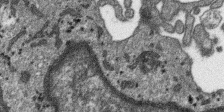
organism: Human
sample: Lung epithelial cells infected with SARS-CoV-2